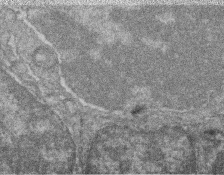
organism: Zebrafish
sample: Cilia; retinal pigment epithelium